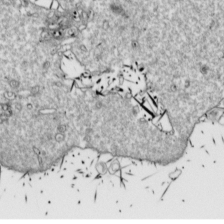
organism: Drosophila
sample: Cell division; meiosis; drosophila spermatocytes